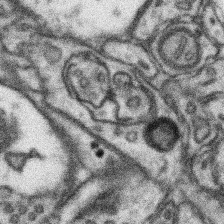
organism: Mouse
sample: Somatosensory cortex neuropil